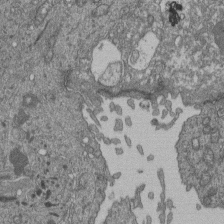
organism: Human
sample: Retinal organoid Rod and Cone cells